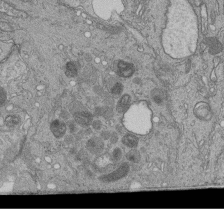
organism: Human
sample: Retinal organoid Rod and Cone cells